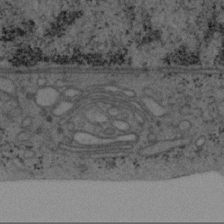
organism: Human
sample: HeLa cells